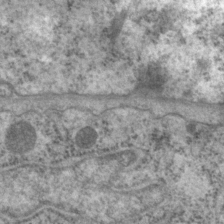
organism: P. pacificus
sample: Pharynx